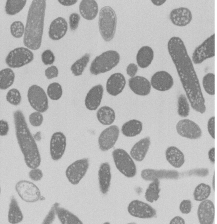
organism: E. coli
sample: Bacterial nucleoid